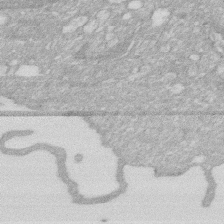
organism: Human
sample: HIV infected U937 cells